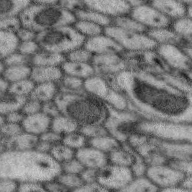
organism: Zebra finch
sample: Brain